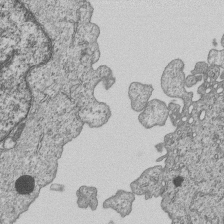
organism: Human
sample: MDA-MB-231 cells